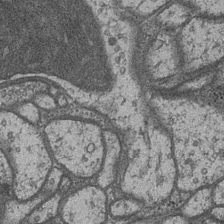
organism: Drosophila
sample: Optic medulla